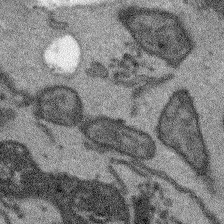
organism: Arabidopsis thaliana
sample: Root tip